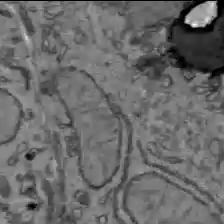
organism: C57BL Mouse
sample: Liver